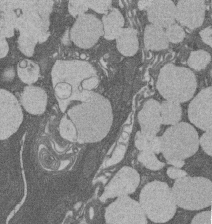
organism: Rat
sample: Salivary granule